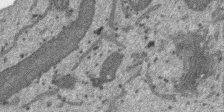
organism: Human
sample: Lung epithelial cells infected with SARS-CoV-2